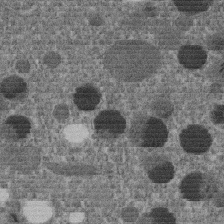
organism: C. elegans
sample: C. elegans embryo early stage